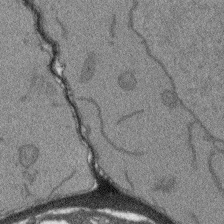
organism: Arabidopsis thaliana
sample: Root tip